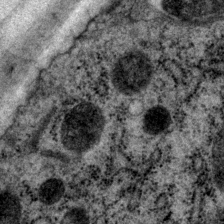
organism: P. pacificus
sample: Pharynx